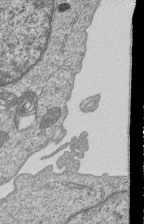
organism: Human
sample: MDA-MB-231 cells